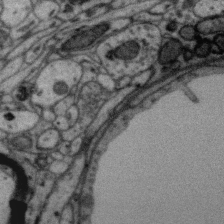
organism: Zebra finch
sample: Brain